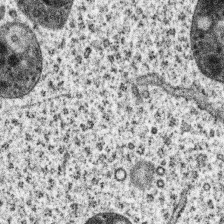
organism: Human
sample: HeLa cells